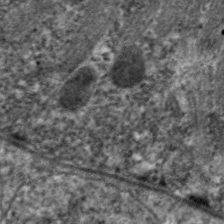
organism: C. elegans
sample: Pharynx